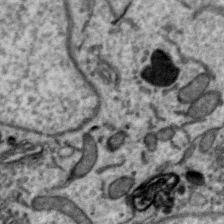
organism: Zebra finch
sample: Brain